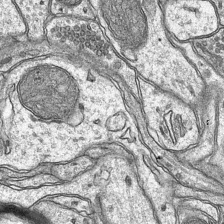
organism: Mouse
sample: CA1 Hippocampus